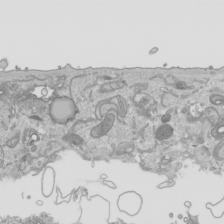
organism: Human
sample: Mitochondria in HCT116 cells